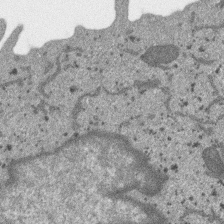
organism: Human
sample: Lung epithelial cells infected with SARS-CoV-2